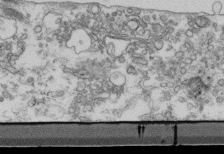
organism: Mouse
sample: Cilia; retinal pigment epithelium